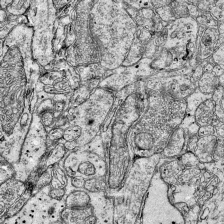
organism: Mouse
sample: Visual Cortex